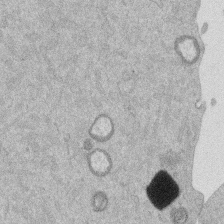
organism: Mouse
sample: Dividing mouse embryo 1 cell stage